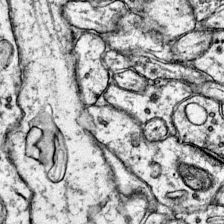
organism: Mouse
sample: Primary visual cortex